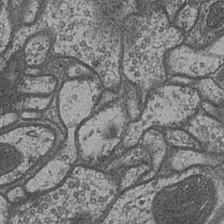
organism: Drosophila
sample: Optic medulla